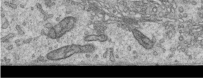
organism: Human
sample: Centriole in RPE cells